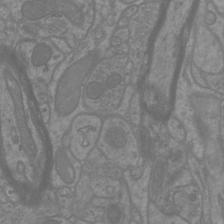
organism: Mouse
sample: Cortical neurons